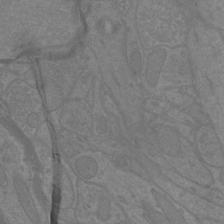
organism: Mouse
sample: Cortical neurons